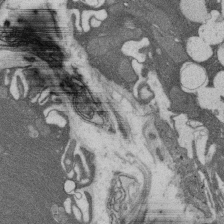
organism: Rat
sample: Salivary granule